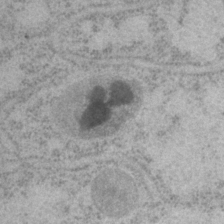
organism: P. pacificus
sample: Pharynx